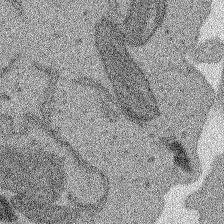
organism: Human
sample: HeLa cells